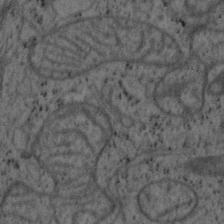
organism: Human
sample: HeLa cells